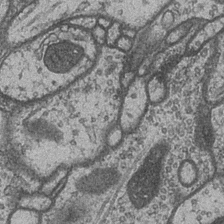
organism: Drosophila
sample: Optic medulla